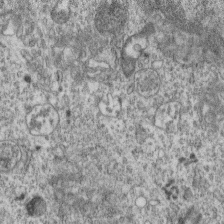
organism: Mouse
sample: Centriole in ependymal cells